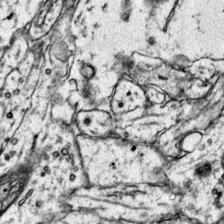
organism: Mouse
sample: Primary visual cortex